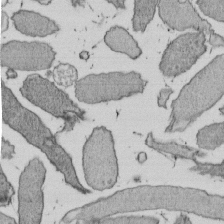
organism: E. coli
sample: Bacterial nucleoid